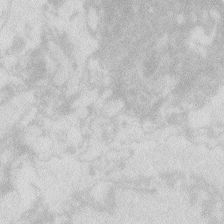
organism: Zebrafish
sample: Macrophage